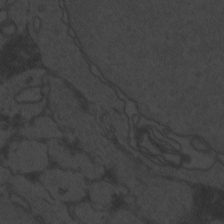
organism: Zebrafish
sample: Macrophage infected with Toxoplasma gondii